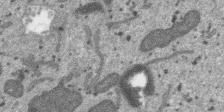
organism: Human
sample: Lung epithelial cells infected with SARS-CoV-2